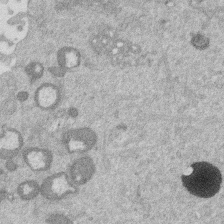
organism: Mouse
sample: Dividing mouse embryo 1 cell stage